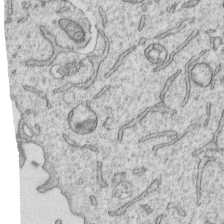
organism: Human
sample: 1205lu cells